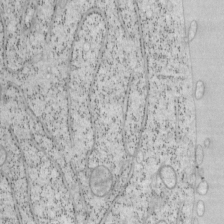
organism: Mouse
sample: OT-I killer T cells with ID8 ovarian cancer cells